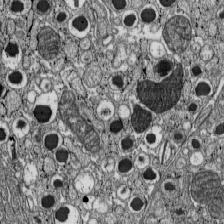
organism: C57BL Mouse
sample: Pancreatic islet